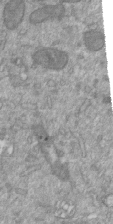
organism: Mouse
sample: ED-1 cell nuclei; centrioles